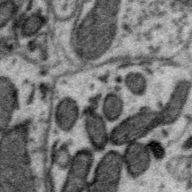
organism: Zebra finch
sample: Brain